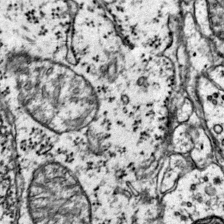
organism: Mouse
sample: Primary visual cortex